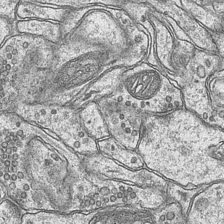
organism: Mouse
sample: CA1 Hippocampus